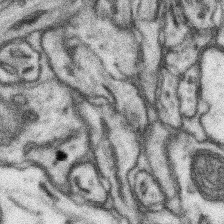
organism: Mouse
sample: Somatosensory cortex neuropil